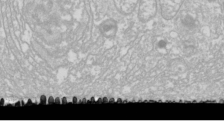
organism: Drosophila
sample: Cell division; meiosis; drosophila spermatocytes